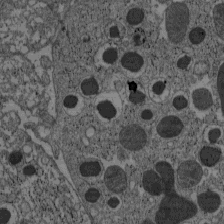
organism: C57BL Mouse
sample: Pancreatic islet